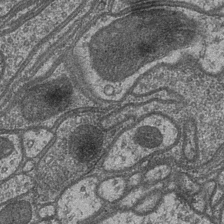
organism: Drosophila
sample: Optic medulla